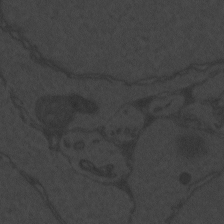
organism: Zebrafish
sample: Macrophage infected with Toxoplasma gondii